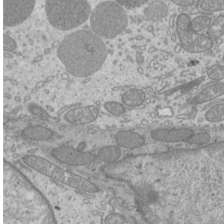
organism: Mouse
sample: Cilia; mouse epididymis